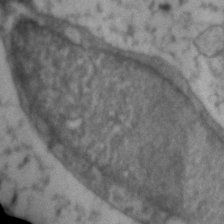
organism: Zebrafish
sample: Zebrafish embryo